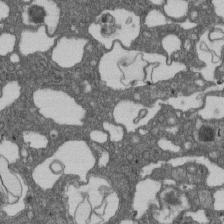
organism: Drosophila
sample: Nephrocyte